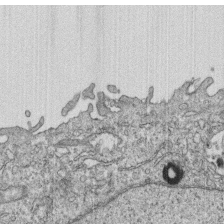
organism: Human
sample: HeLa cell HIV synapse